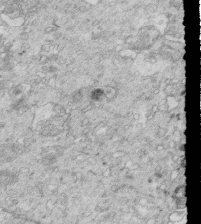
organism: Mouse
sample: Multiciliated cells